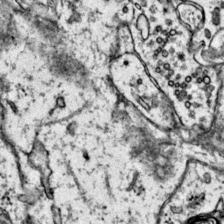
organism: Mouse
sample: Primary visual cortex